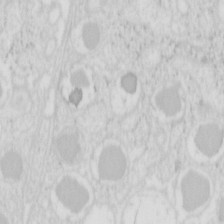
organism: Mouse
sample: Pancreas